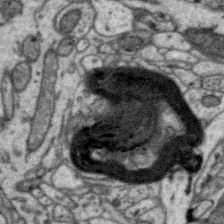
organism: Zebra finch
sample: Brain